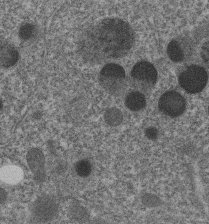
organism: C. elegans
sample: C. elegans embryo early stage